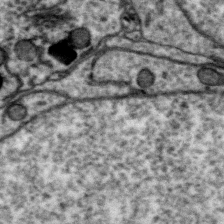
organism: Zebra finch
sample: Brain